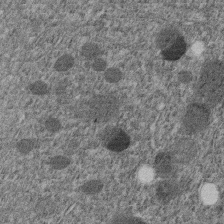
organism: C. elegans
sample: C. elegans embryo early stage